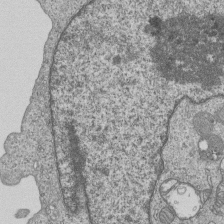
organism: Human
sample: MDA-MB-231 cells